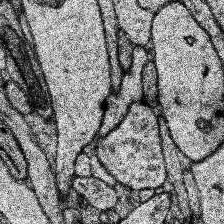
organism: Human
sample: Temporal Lobe